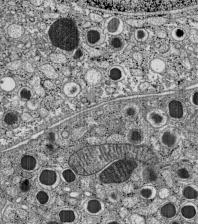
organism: C57BL Mouse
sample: Pancreatic islet